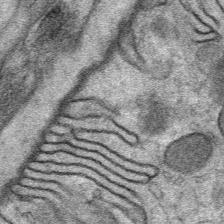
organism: Mouse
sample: Mouse Salivary gland